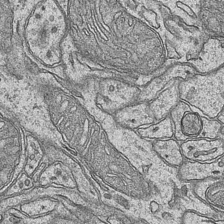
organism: Mouse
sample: CA1 Hippocampus